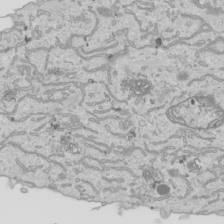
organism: Human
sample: Mitochondria in HCT116 cells